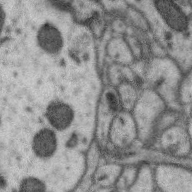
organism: Zebra finch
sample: Brain